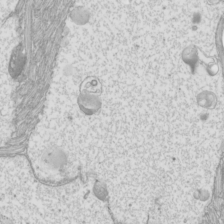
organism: Mouse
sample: Cilia; mouse epididymis